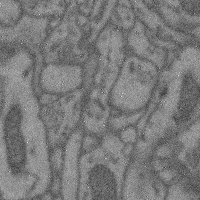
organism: Mouse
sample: Cerebral cortex